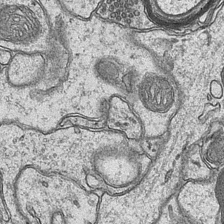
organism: Mouse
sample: CA1 Hippocampus